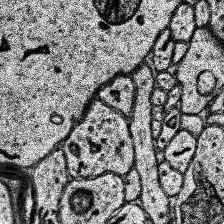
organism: Human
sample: Temporal Lobe